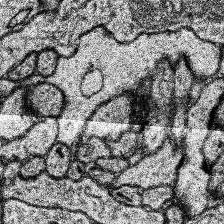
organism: Human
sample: Temporal Lobe